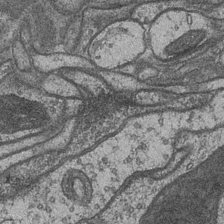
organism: Drosophila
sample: Optic medulla